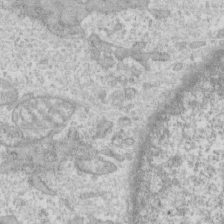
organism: Human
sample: CRL-1474